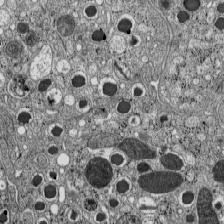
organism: C57BL Mouse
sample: Pancreatic islet